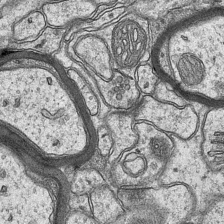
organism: Mouse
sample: CA1 Hippocampus